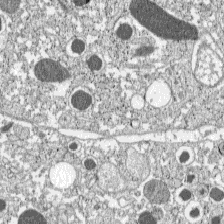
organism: C57BL Mouse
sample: Pancreatic islet